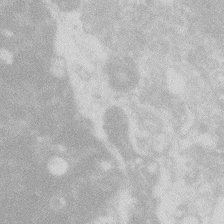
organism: Zebrafish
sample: Macrophage